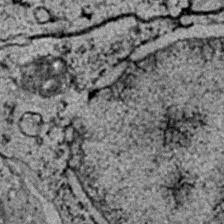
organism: C. elegans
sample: C. elegans embryo